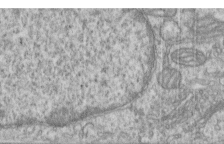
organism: Human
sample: Centriole in RPE cells